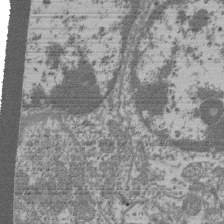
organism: Mouse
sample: Glomerulus